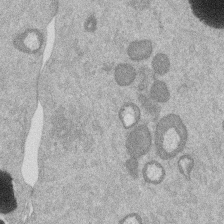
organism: Mouse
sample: Dividing mouse embryo 1 cell stage